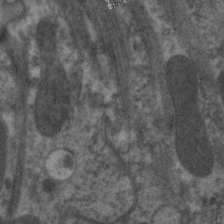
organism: C. elegans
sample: Pharynx